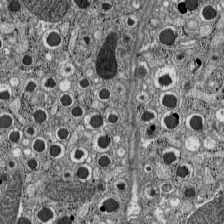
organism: C57BL Mouse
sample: Pancreatic islet